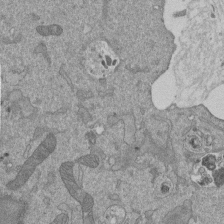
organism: Mouse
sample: ED-1 cell nuclei; centrioles